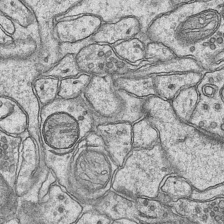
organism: Mouse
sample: CA1 Hippocampus